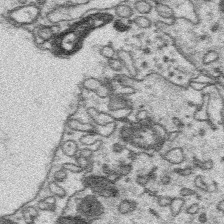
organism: Platynereis dumerilii